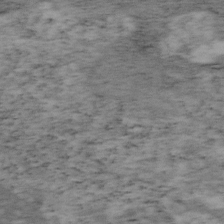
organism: Mouse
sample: OT-I killer T cells with ID8 ovarian cancer cells